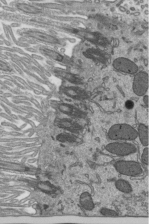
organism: Mouse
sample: Mouse epididymis efferent ductule cilia